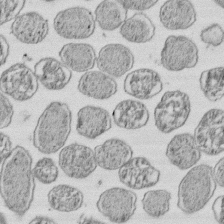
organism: E. coli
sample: Bacterial nucleoid